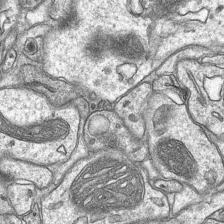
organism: Mouse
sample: CA1 Hippocampus